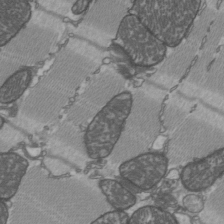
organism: C57BL Mouse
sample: Heart